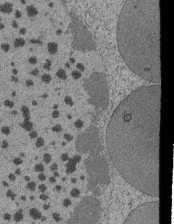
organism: Tetrahymena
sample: Cilia in tetrahymena